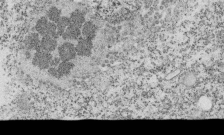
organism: Tetrahymena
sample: Cilia in tetrahymena